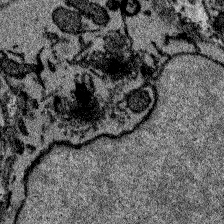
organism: Zebrafish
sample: Larval olfactory bulb